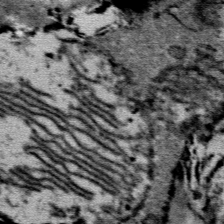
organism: Mouse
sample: Mouse Salivary gland